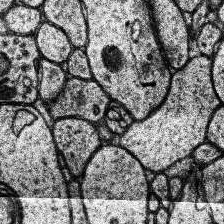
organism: Human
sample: Temporal Lobe